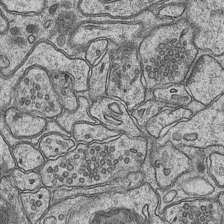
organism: Mouse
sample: CA1 Hippocampus